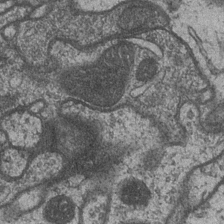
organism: Drosophila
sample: Optic medulla